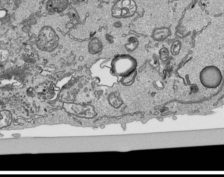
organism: Human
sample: Mitochondria in HCT116 cells